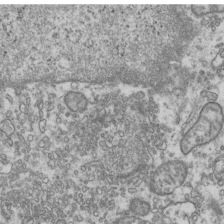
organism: Human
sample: Activated Jurkat CD4+ T cells